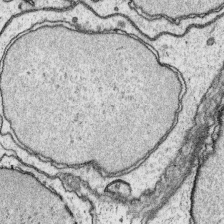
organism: Platynereis dumerilii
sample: Parapodia